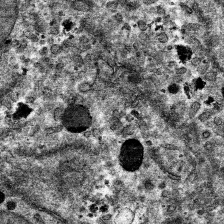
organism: Mouse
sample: Mouse hepatocytes